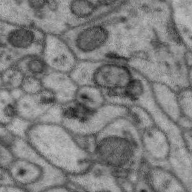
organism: Zebra finch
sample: Brain